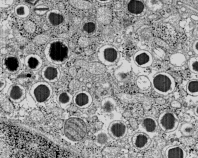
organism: C57BL Mouse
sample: Pancreatic islet